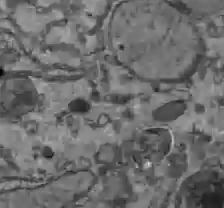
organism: C57BL Mouse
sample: Liver